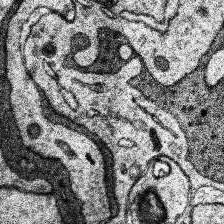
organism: Human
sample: Temporal Lobe